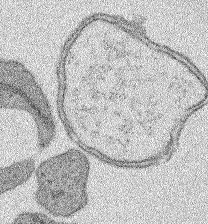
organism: Human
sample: HeLa cells